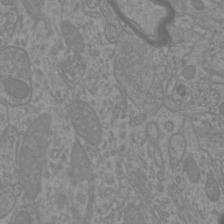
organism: Mouse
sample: Cortical neurons